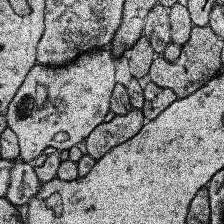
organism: Human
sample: Temporal Lobe